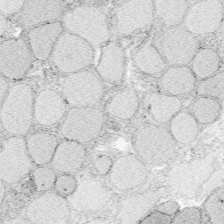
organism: Zebrafish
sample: Whole-Brain